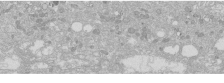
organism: Human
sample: Caco-2 cells